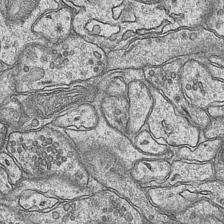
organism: Mouse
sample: CA1 Hippocampus